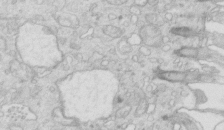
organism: Mouse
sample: Multiciliated cells